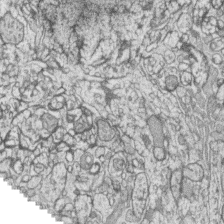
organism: Zebrafish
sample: synaptic ribbons in rod cells and cone cells